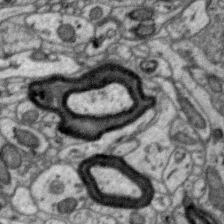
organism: Zebra finch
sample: Brain